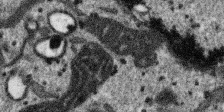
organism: Human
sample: Lung epithelial cells infected with SARS-CoV-2